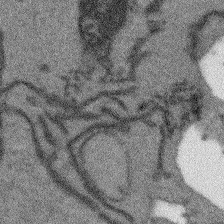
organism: Arabidopsis thaliana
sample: Root tip